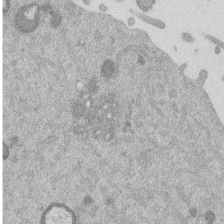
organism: Mouse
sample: Dividing mouse embryo 1 cell stage